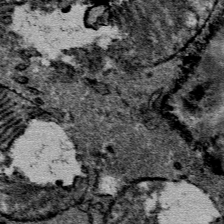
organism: Mouse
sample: Mouse Salivary gland